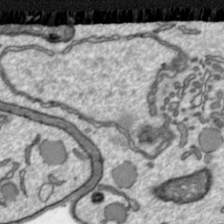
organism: Toxoplasma gondii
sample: Parasites in a vacuole inside a host cell